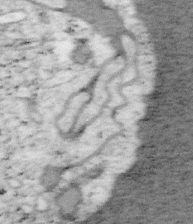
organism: Mouse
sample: OT-I killer T cells with ID8 ovarian cancer cells